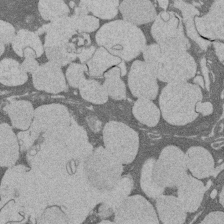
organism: Rat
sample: Salivary granule